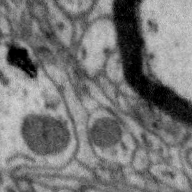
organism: Zebra finch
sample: Brain